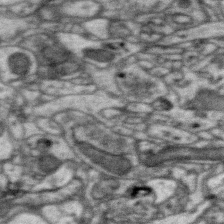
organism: Zebra finch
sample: Brain